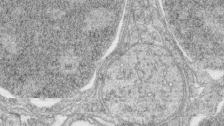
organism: Zebrafish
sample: synaptic ribbons in rod cells and cone cells